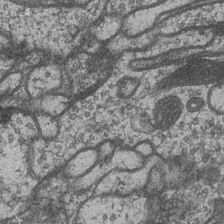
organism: Drosophila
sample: Optic medulla